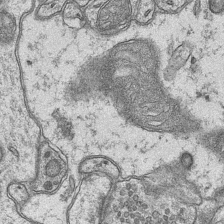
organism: Mouse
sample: CA1 Hippocampus